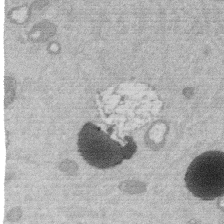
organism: Mouse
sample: Dividing mouse embryo 1 cell stage